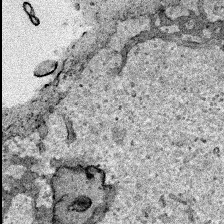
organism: Human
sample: Mitochondria in HCT116 cells